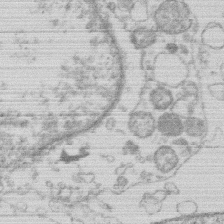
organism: Human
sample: Macrophage cells